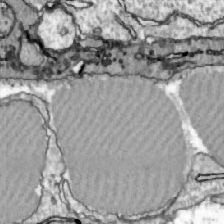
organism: Zebrafish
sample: Actinotrichia fibers